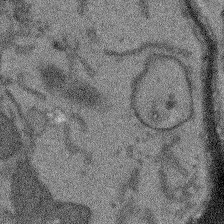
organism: Arabidopsis thaliana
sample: Root tip